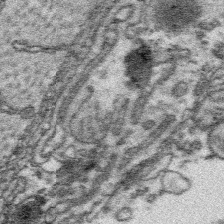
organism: Platynereis dumerilii